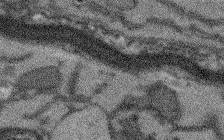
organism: Arabidopsis thaliana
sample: Root tip